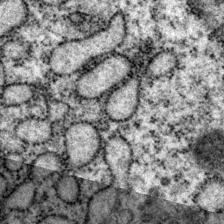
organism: P. pacificus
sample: Pharynx